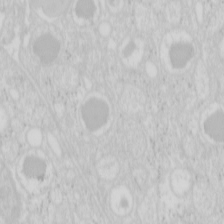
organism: Mouse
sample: Pancreas